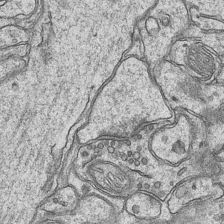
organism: Mouse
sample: CA1 Hippocampus